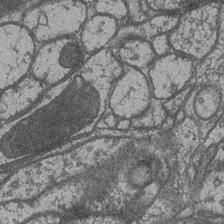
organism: Drosophila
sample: Optic medulla